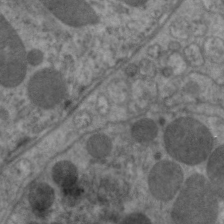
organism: C. elegans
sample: Pharynx